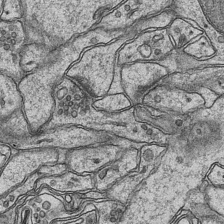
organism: Mouse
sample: CA1 Hippocampus